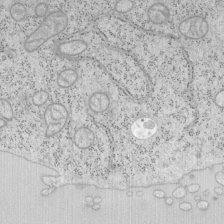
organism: Mouse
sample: OT-I killer T cells with ID8 ovarian cancer cells